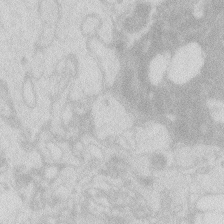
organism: Zebrafish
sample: Macrophage